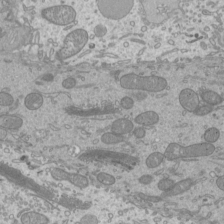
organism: Mouse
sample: Cilia; mouse epididymis